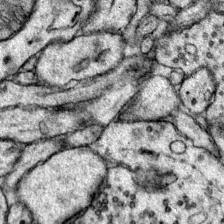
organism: Mouse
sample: Primary visual cortex